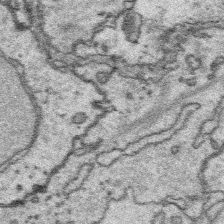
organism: Platynereis dumerilii